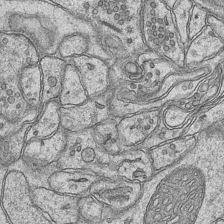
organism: Mouse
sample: CA1 Hippocampus